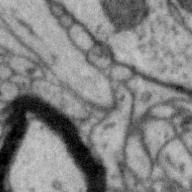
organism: Zebra finch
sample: Brain